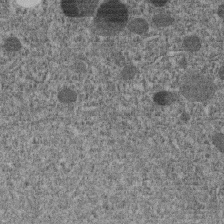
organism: C. elegans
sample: C. elegans embryo early stage